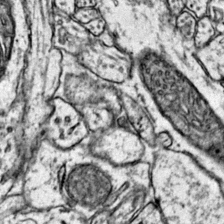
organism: Mouse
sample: Primary visual cortex